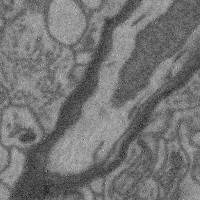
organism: Mouse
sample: Cerebral cortex